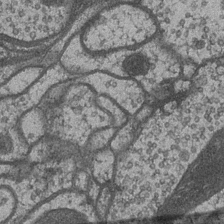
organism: Drosophila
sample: Optic medulla